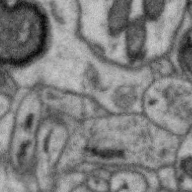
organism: Zebra finch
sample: Brain